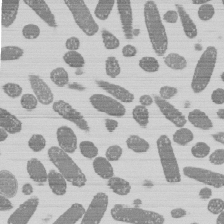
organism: E. coli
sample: Bacterial nucleoid